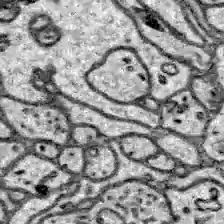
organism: Zebrafish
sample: Brain